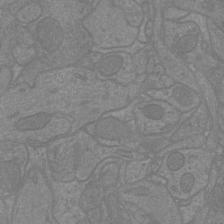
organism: Mouse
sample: Cortical neurons